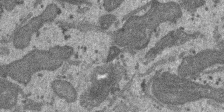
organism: Human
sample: Lung epithelial cells infected with SARS-CoV-2